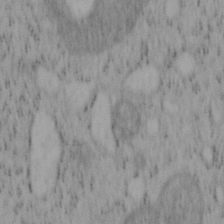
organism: Mouse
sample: OT-I killer T cells with ID8 ovarian cancer cells